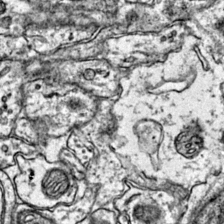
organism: Mouse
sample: Primary visual cortex